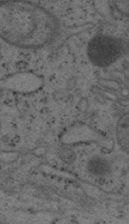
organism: Human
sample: HeLa cells